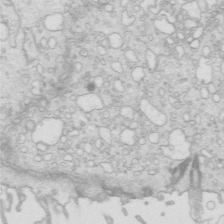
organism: Mouse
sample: Multiciliated cells